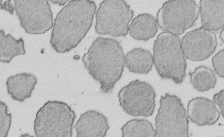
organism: E. coli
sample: Bacterial nucleoid